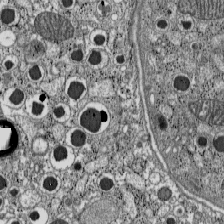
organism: C57BL Mouse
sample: Pancreatic islet